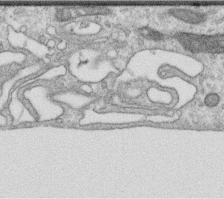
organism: Human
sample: Centriole in RPE cells